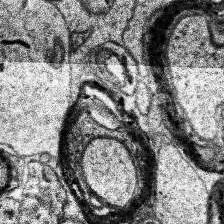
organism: Human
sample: Temporal Lobe